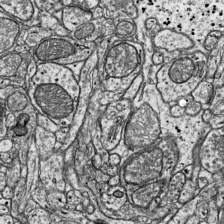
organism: Mouse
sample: Visual Cortex